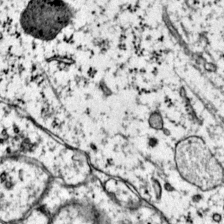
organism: Mouse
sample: Primary visual cortex